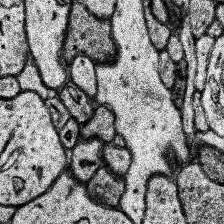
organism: Human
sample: Temporal Lobe